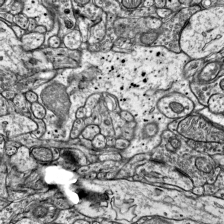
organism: Mouse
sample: Visual Cortex